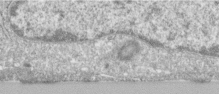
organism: Human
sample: Centriole in RPE cells